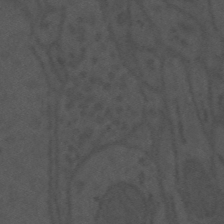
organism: Mouse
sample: Suprachiasmatic nucleus